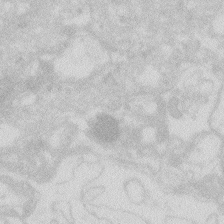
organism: Zebrafish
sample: Macrophage